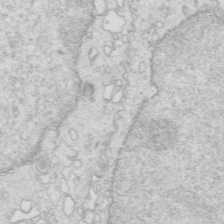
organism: Mouse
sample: Multiciliated cells